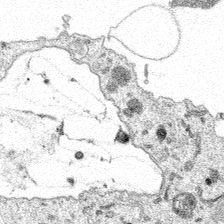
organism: Spongilla lacustris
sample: Multiple